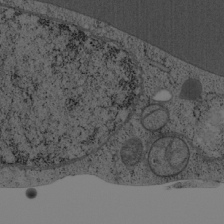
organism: African green monkey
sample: COS-7 cells